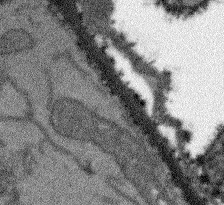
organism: Arabidopsis thaliana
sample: Root tip